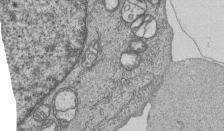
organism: Human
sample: MDA-MB-231 cells